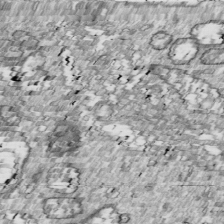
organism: Drosophila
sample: Cell division; meiosis; drosophila spermatocytes